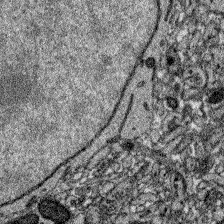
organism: Zebrafish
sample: Larval olfactory bulb